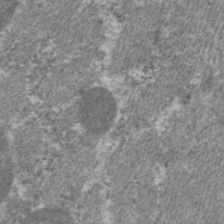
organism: C. elegans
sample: Pharynx